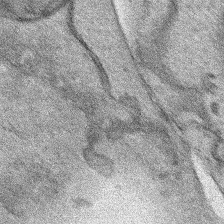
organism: Human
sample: Mitochondria in HCT116 cells